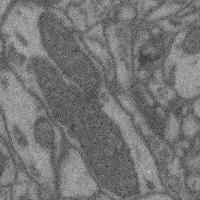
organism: Mouse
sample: Cerebral cortex